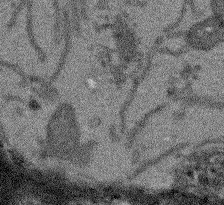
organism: Arabidopsis thaliana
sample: Root tip